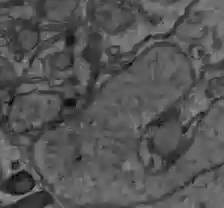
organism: C57BL Mouse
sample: Liver